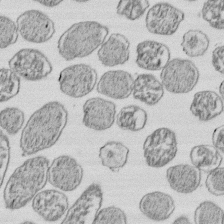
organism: E. coli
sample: Bacterial nucleoid